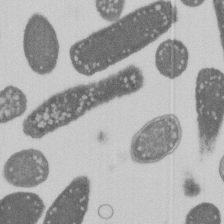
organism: E. coli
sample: Bacterial nucleoid